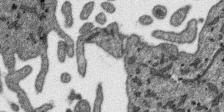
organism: Human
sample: Lung epithelial cells infected with SARS-CoV-2